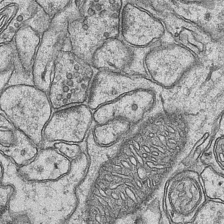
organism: Mouse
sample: CA1 Hippocampus